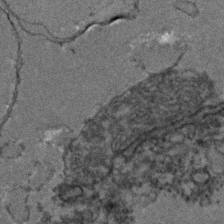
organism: Zebrafish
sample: Zebrafish embryo